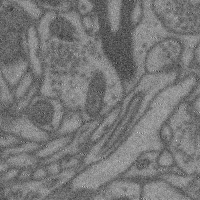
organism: Mouse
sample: Cerebral cortex